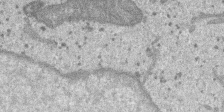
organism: Human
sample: Lung epithelial cells infected with SARS-CoV-2